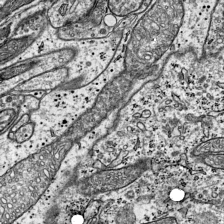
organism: Mouse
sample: Visual Cortex